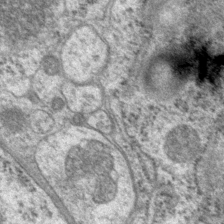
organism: P. pacificus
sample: Pharynx